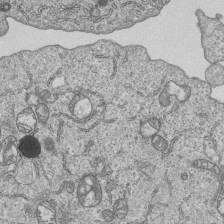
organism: Human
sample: MDA-MB-231 cells